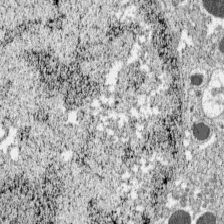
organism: C57BL Mouse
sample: Pancreatic islet